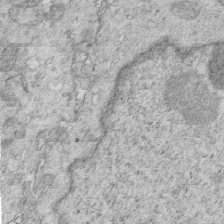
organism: Mouse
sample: Multiciliated cells